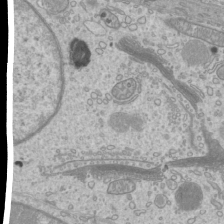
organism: Mouse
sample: Cilia; mouse epididymis